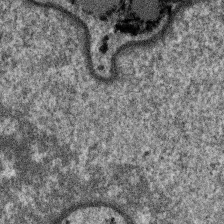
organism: Human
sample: Lung epithelial cells infected with SARS-CoV-2